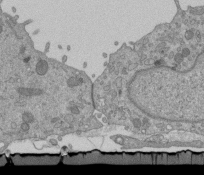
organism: Mouse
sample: ED-1 cell nuclei; centrioles